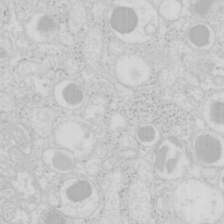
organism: Mouse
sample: Pancreas